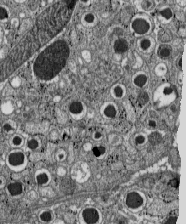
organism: C57BL Mouse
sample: Pancreatic islet